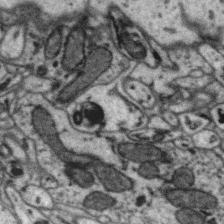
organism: Zebra finch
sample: Brain